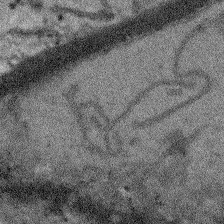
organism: Arabidopsis thaliana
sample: Root tip